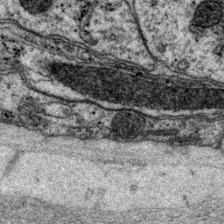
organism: P. pacificus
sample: Pharynx